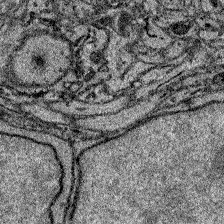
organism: Zebrafish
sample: Larval olfactory bulb